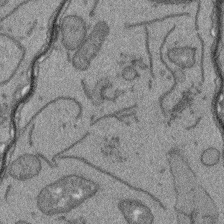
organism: Arabidopsis thaliana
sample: Root tip